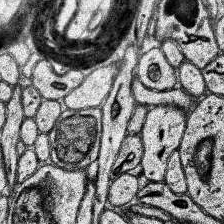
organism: Human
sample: Temporal Lobe